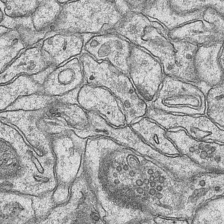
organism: Mouse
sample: CA1 Hippocampus